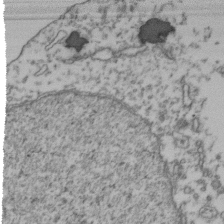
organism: Human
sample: Activated Jurkat CD4+ T cells